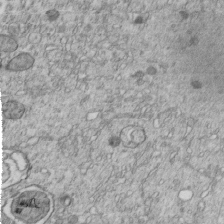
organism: C. elegans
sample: C. elegans embryo early stage